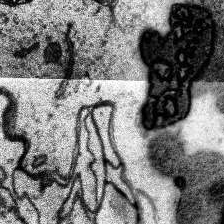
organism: Human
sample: Temporal Lobe